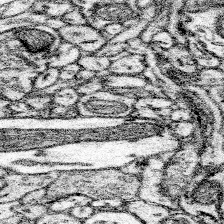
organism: Mouse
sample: Somatosensory cortex neuropil